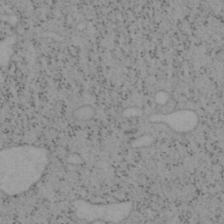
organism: Mouse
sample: OT-I killer T cells with ID8 ovarian cancer cells